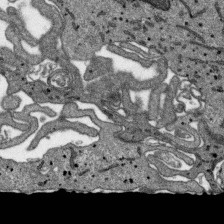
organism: Human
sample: Lung epithelial cells, uninfected (mock) control